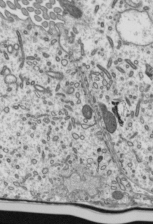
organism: Mouse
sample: Mouse epididymis efferent ductule cilia